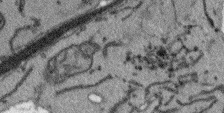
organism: Arabidopsis thaliana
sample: Root tip